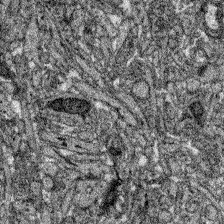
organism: Zebrafish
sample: Larval olfactory bulb